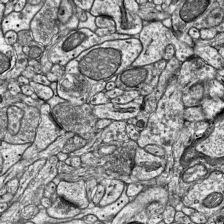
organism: Mouse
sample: Visual Cortex